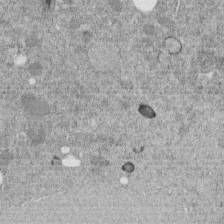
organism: C. elegans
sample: C. elegans embryo early stage